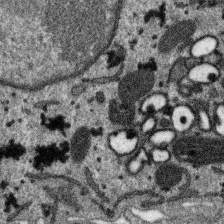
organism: Human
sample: Lung epithelial cells infected with SARS-CoV-2